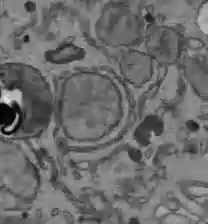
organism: C57BL Mouse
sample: Liver